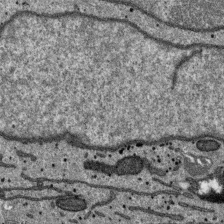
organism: Human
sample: Lung epithelial cells, uninfected (mock) control